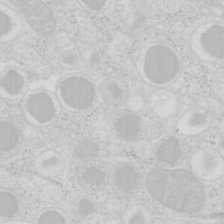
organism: Mouse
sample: Pancreas